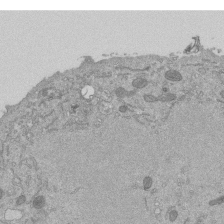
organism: Mouse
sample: ED-1 cell nuclei; centrioles